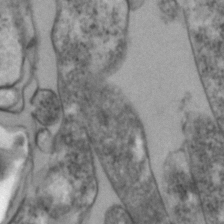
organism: Zebrafish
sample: Zebrafish embryo